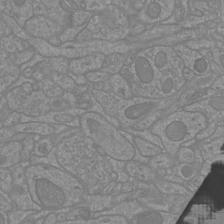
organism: Mouse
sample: Cortical neurons